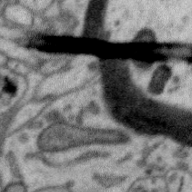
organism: Zebra finch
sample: Brain